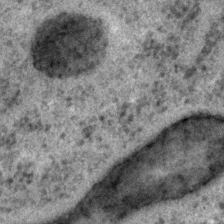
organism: C. elegans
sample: C. elegans embryo